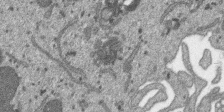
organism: Human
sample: Lung epithelial cells infected with SARS-CoV-2